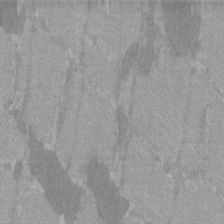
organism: C57BL Mouse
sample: Tibialis anterior muscle cell